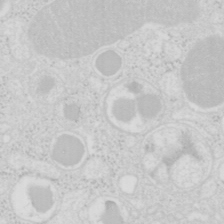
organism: Mouse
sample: Pancreas